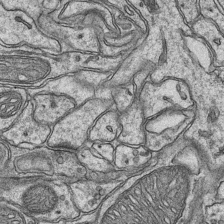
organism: Mouse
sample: CA1 Hippocampus